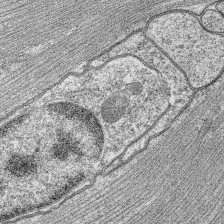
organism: C. elegans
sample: Pharynx